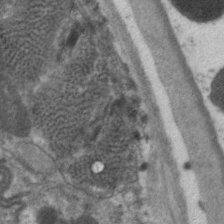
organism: C. elegans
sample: Pharynx